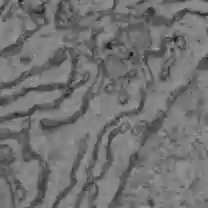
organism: C57BL Mouse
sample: Liver